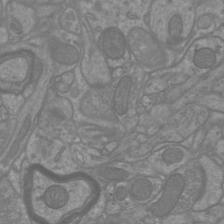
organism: Mouse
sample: Cortical neurons